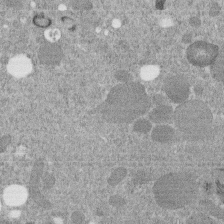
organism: C. elegans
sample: C. elegans embryo early stage